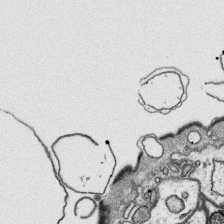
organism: Platynereis dumerilii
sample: Parapodia